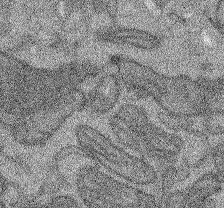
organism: Human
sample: HeLa cells